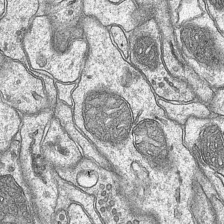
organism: Mouse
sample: CA1 Hippocampus